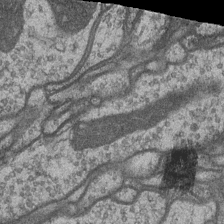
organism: Drosophila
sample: Optic medulla